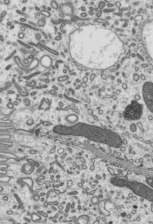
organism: Mouse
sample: Mouse epididymis efferent ductule cilia